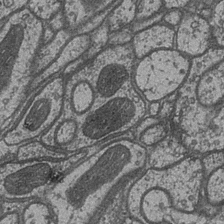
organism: Drosophila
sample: Optic medulla